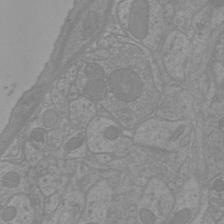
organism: Mouse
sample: Cortical neurons